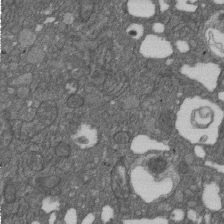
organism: Drosophila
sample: Nephrocyte